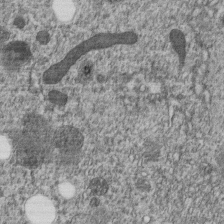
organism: C. elegans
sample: C. elegans embryo early stage